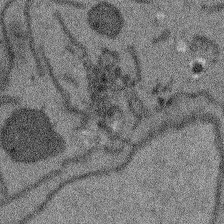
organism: Arabidopsis thaliana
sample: Root tip